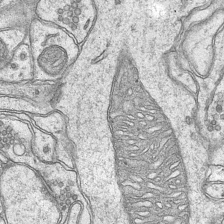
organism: Mouse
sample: CA1 Hippocampus